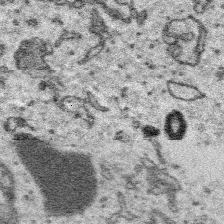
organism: Platynereis dumerilii